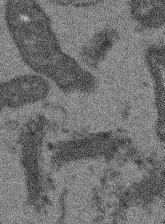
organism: Arabidopsis thaliana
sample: Root tip